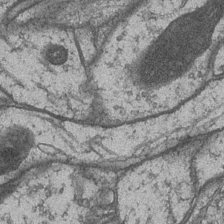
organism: Drosophila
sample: Optic medulla